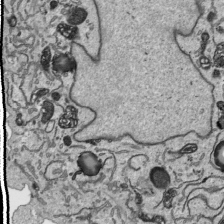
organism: Human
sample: Mitochondria in HCT116 cells